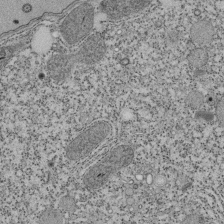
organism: Tetrahymena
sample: Cilia in tetrahymena